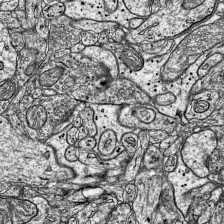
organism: Mouse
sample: Visual Cortex